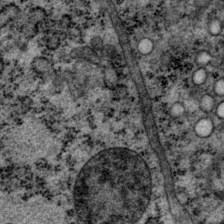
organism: P. pacificus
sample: Pharynx